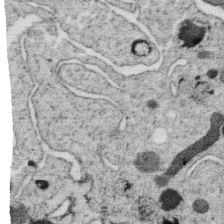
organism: C. elegans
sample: C. elegans oocyte; sperm cells